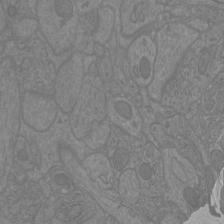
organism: Mouse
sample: Cortical neurons